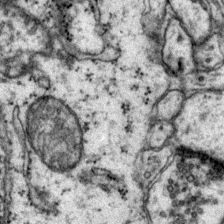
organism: Mouse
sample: Primary visual cortex